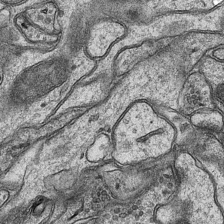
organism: Mouse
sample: CA1 Hippocampus